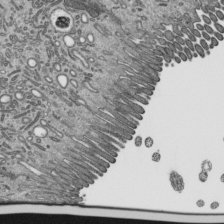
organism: Mouse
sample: Mouse epididymis efferent ductule cilia